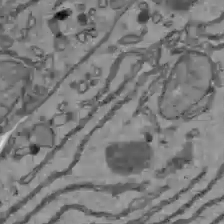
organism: C57BL Mouse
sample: Liver